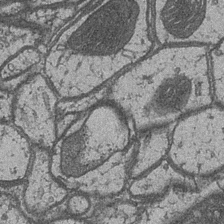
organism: Drosophila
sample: Optic medulla